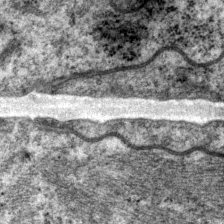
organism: P. pacificus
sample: Pharynx